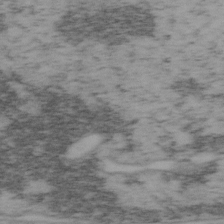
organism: Mouse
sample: OT-I killer T cells with ID8 ovarian cancer cells